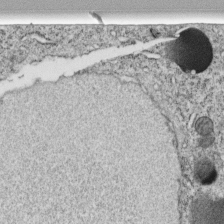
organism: C. elegans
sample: C. elegans embryo early stage